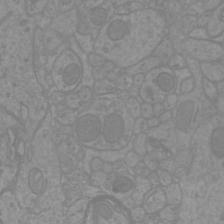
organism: Mouse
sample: Cortical neurons